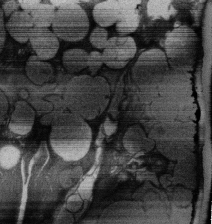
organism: Rat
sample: Salivary granule